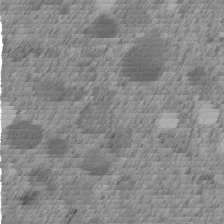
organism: C. elegans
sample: C. elegans embryo early stage